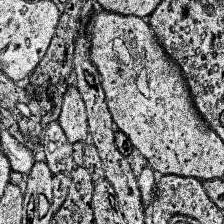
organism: Human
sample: Temporal Lobe